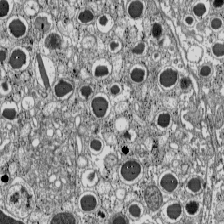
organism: C57BL Mouse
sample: Pancreatic islet